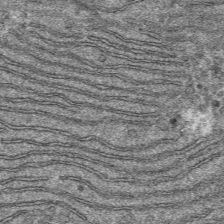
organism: Mouse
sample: Mouse hepatocytes